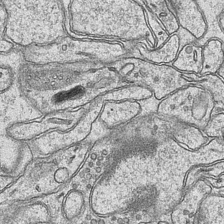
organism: Mouse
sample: CA1 Hippocampus